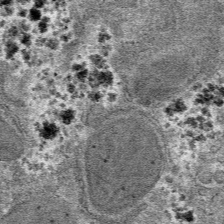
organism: Mouse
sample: Mouse hepatocytes